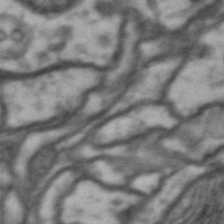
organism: Drosophila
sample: Brain